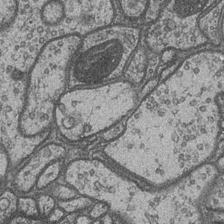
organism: Drosophila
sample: Optic medulla